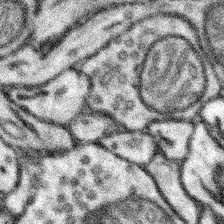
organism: Mouse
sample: Somatosensory cortex neuropil